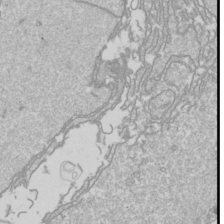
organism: Drosophila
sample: Cell division; meiosis; drosophila spermatocytes